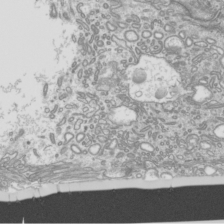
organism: Mouse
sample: Cilia; mouse epididymis